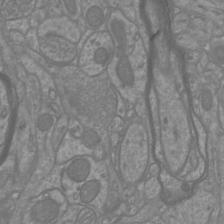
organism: Mouse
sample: Cortical neurons